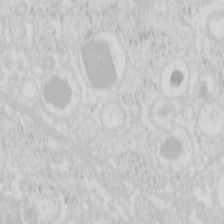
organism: Mouse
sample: Pancreas